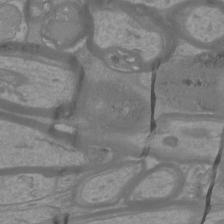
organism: Mouse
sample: Cortical neurons